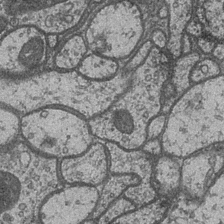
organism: Drosophila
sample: Optic medulla